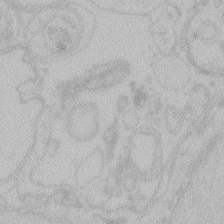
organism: Zebrafish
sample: Macrophage infected with Toxoplasma gondii